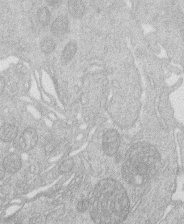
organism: Human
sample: Macrophage cells